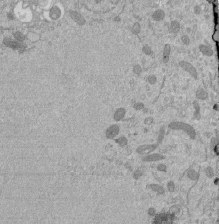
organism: Mouse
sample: ED-1 cell nuclei; centrioles